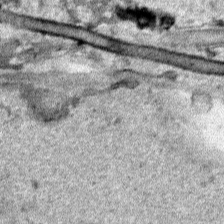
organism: Human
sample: Mitochondria in HCT116 cells